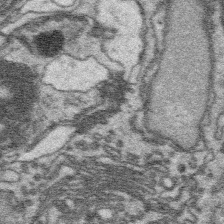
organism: Platynereis dumerilii